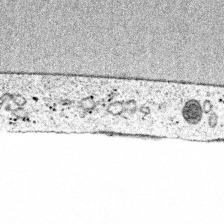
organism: Human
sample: HeLa cells